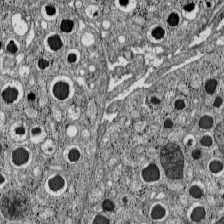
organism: C57BL Mouse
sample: Pancreatic islet